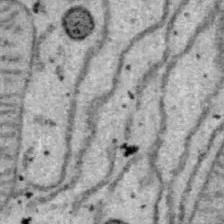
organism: Mouse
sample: Liver from an obese (ob/ob) mouse